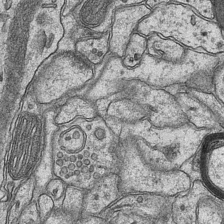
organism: Mouse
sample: CA1 Hippocampus